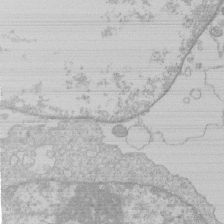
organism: Human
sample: Macrophage cells